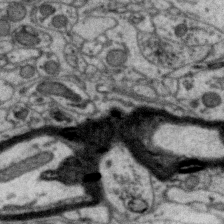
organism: Zebra finch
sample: Brain